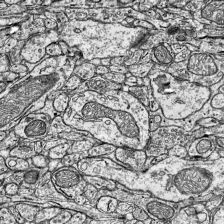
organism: Mouse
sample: Visual Cortex